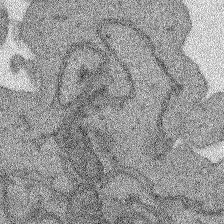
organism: Human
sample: HeLa cells